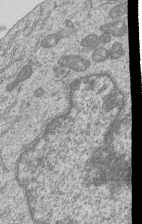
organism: Human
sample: MDA-MB-231 cells